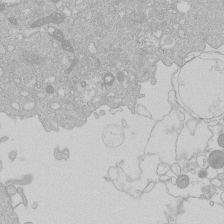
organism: Human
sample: Macrophage cells